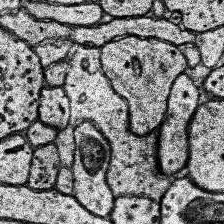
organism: Human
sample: Temporal Lobe